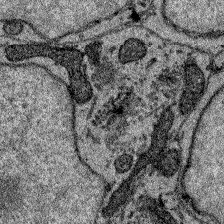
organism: Zebrafish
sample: Larval olfactory bulb